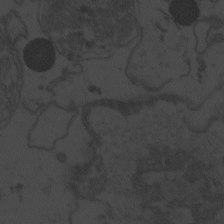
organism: Zebrafish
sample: Macrophage infected with Toxoplasma gondii